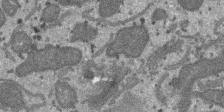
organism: Human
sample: Lung epithelial cells infected with SARS-CoV-2